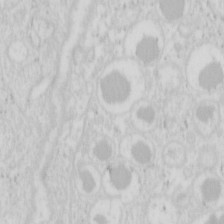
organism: Mouse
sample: Pancreas